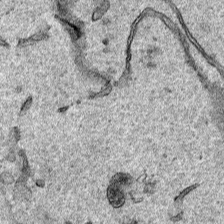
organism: Human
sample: Mitochondria in HCT116 cells